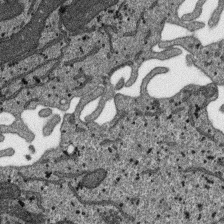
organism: Human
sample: Lung epithelial cells infected with SARS-CoV-2